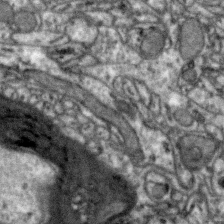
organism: Zebra finch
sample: Brain